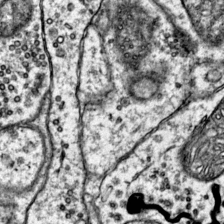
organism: Mouse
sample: Primary visual cortex